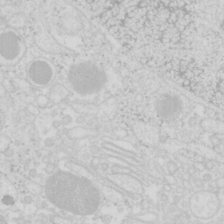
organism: Mouse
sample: Pancreas